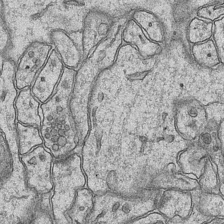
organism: Mouse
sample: CA1 Hippocampus